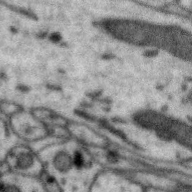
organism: Zebra finch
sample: Brain